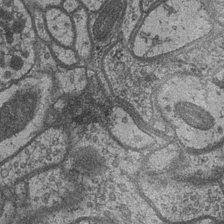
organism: Drosophila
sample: Optic medulla